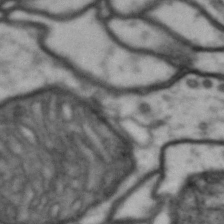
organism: Drosophila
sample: Brain